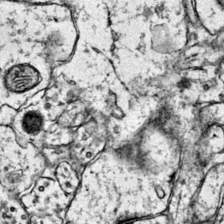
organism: Mouse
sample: Primary visual cortex